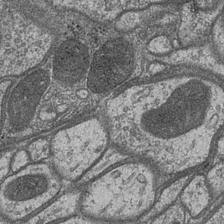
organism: Drosophila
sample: Optic medulla